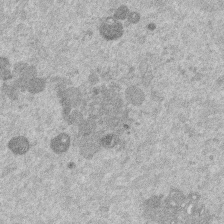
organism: Mouse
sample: Dividing mouse embryo 1 cell stage